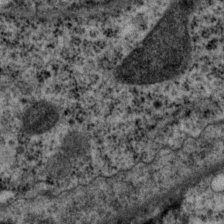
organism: P. pacificus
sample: Pharynx